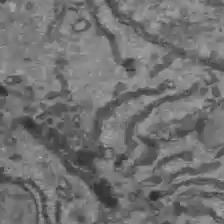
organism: C57BL Mouse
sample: Liver